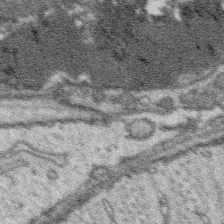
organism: Platynereis dumerilii